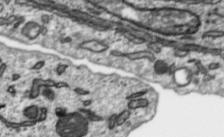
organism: Toxoplasma gondii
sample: Parasites in a vacuole inside a host cell